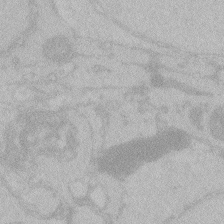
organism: Zebrafish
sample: Macrophage infected with Toxoplasma gondii